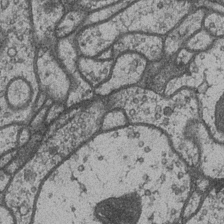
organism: Drosophila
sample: Optic medulla